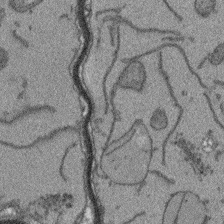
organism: Arabidopsis thaliana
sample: Root tip